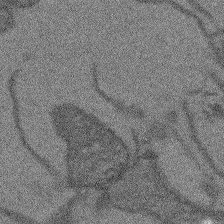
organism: Arabidopsis thaliana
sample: Root tip